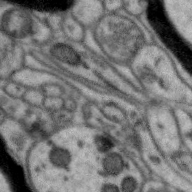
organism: Zebra finch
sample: Brain